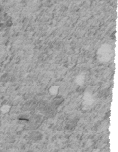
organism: C. elegans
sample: C. elegans embryo early stage